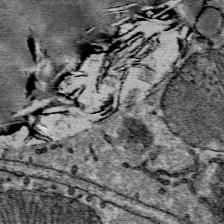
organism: Mouse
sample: Mouse Salivary gland